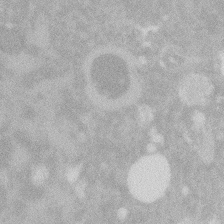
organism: Zebrafish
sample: Macrophage